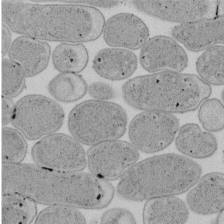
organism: E. coli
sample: Bacterial nucleoid